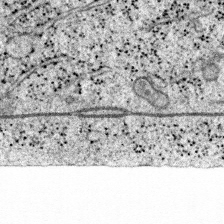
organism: Human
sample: HeLa cells